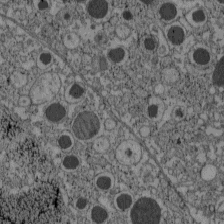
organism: C57BL Mouse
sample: Pancreatic islet